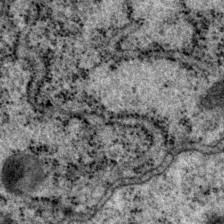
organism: P. pacificus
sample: Pharynx